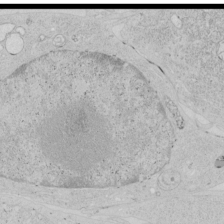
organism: Human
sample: Mitochondria in HCT116 cells